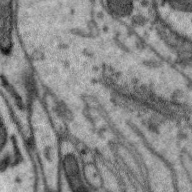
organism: Zebra finch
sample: Brain